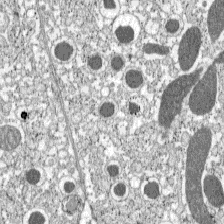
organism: C57BL Mouse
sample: Pancreatic islet